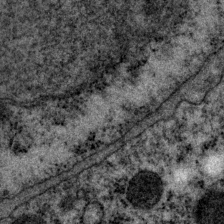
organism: P. pacificus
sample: Pharynx